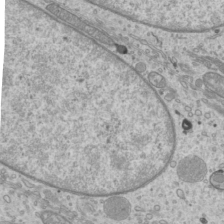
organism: Mouse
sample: Cilia; mouse epididymis